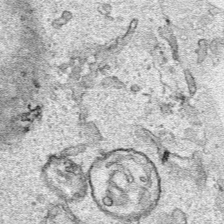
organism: Human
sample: Mitochondria in HCT116 cells